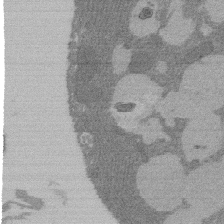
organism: Rat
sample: Salivary granule